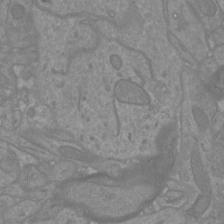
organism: Mouse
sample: Cortical neurons